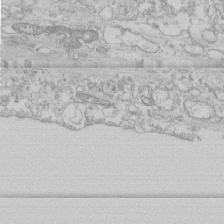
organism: Human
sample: CRL-1474